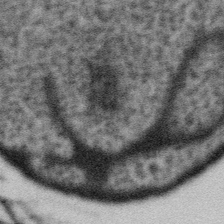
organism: Gemmata obscuriglobus